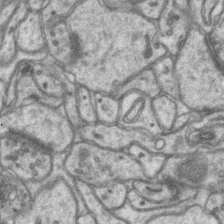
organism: Mouse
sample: CA1 Hippocampus